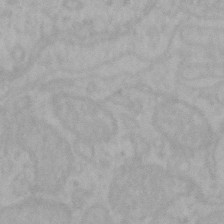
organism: Mouse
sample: Choroid plexus